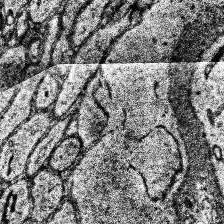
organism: Human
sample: Temporal Lobe